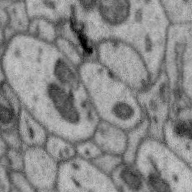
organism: Zebra finch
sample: Brain